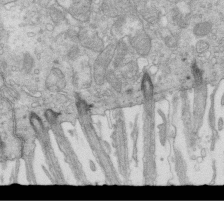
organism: Mouse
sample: Multiciliated cells